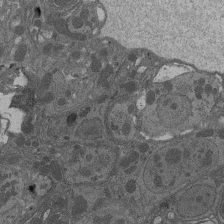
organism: Drosophila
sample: Antenna